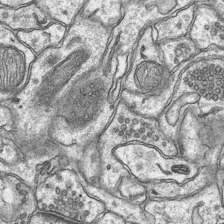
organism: Mouse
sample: CA1 Hippocampus